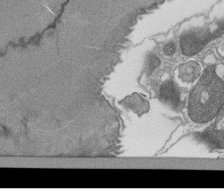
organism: Tetrahymena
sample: Cilia in tetrahymena